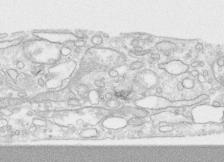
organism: Human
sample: CRL-1474